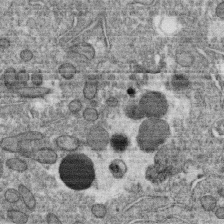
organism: C. elegans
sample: C. elegans oocyte; sperm cells